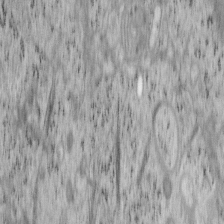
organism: Human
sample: HeLa cells